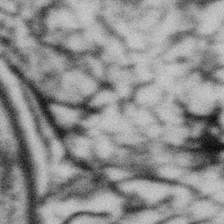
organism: Gemmata obscuriglobus